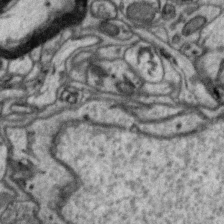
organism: Zebra finch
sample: Brain